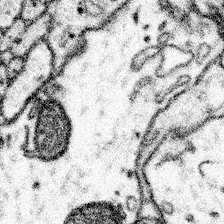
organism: Mouse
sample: Somatosensory cortex neuropil